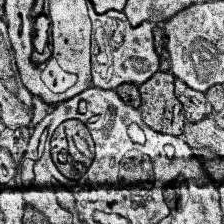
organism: Human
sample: Temporal Lobe